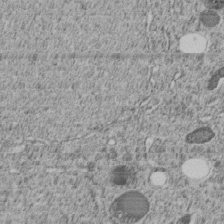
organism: C. elegans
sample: C. elegans embryo early stage